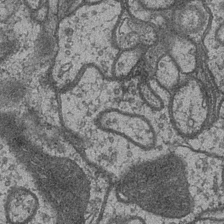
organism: Drosophila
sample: Optic medulla